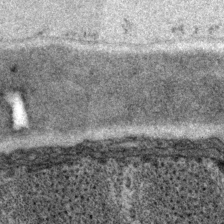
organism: P. pacificus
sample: Pharynx